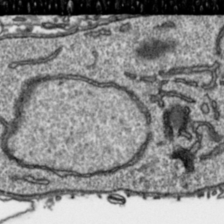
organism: Toxoplasma gondii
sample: Parasites in a vacuole inside a host cell